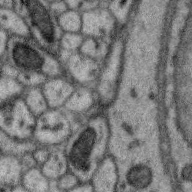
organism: Zebra finch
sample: Brain